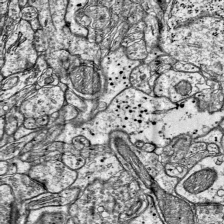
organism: Mouse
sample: Visual Cortex